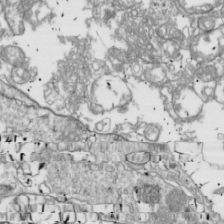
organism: Drosophila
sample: Cell division; meiosis; drosophila spermatocytes